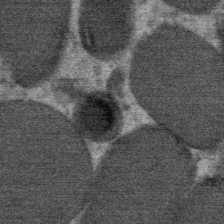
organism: Mouse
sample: Mouse Salivary gland